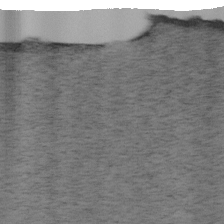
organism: Mouse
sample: OT-I killer T cells with ID8 ovarian cancer cells